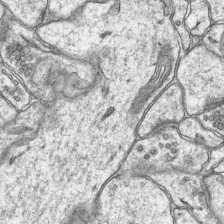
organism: Mouse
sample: CA1 Hippocampus